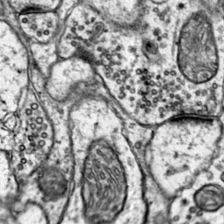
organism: Mouse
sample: Primary visual cortex